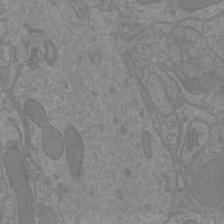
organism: Mouse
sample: Cortical neurons